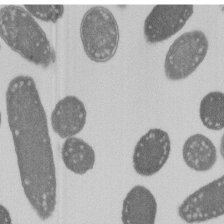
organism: E. coli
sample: Bacterial nucleoid